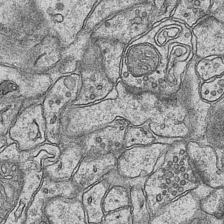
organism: Mouse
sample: CA1 Hippocampus